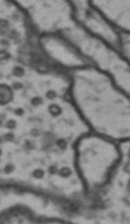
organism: Drosophila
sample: Brain